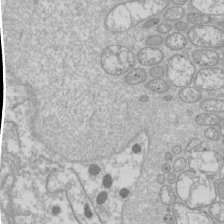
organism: Drosophila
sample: Cell division; meiosis; drosophila spermatocytes